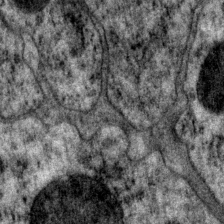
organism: P. pacificus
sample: Pharynx